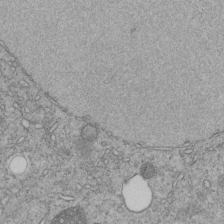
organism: C. elegans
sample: C. elegans embryo early stage